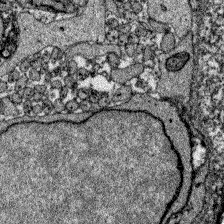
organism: Zebrafish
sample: Larval olfactory bulb